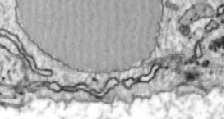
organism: Zebrafish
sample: Actinotrichia fibers